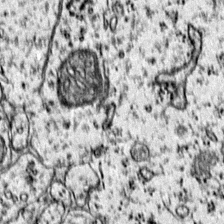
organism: Mouse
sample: Primary visual cortex